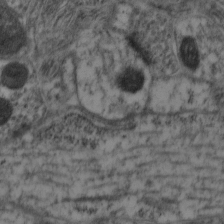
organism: Mouse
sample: Neocortex